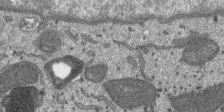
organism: Human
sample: Lung epithelial cells infected with SARS-CoV-2